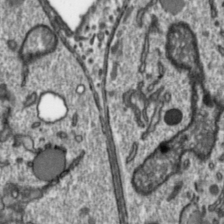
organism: Toxoplasma gondii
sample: Parasites in a vacuole inside a host cell